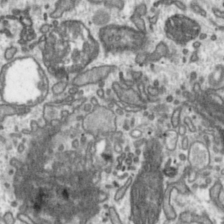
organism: Toxoplasma gondii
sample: Parasites in a vacuole inside a host cell